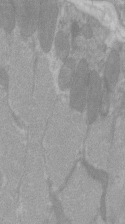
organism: C57BL Mouse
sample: Tibialis anterior muscle cell